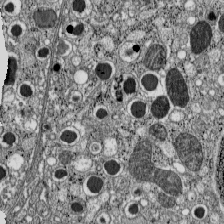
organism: C57BL Mouse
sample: Pancreatic islet